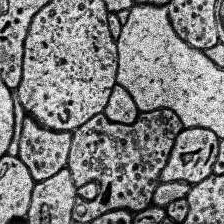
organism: Human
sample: Temporal Lobe